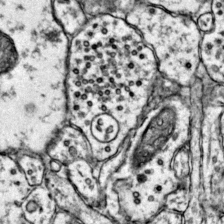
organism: Mouse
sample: Primary visual cortex